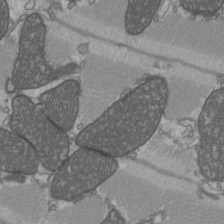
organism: C57BL Mouse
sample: Heart